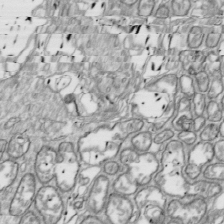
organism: Drosophila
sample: Cell division; meiosis; drosophila spermatocytes